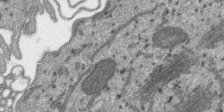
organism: Human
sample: Lung epithelial cells infected with SARS-CoV-2